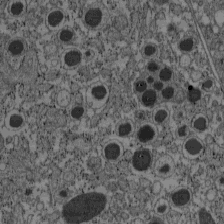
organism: C57BL Mouse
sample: Pancreatic islet